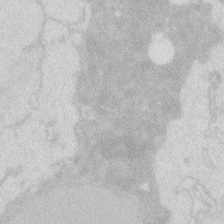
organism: Zebrafish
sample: Macrophage